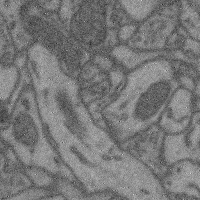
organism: Mouse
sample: Cerebral cortex